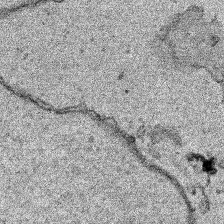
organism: Human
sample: Mitochondria in HCT116 cells